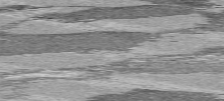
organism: C57BL Mouse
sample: Heart